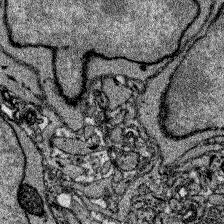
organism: Zebrafish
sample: Larval olfactory bulb